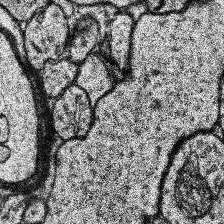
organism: Human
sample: Temporal Lobe